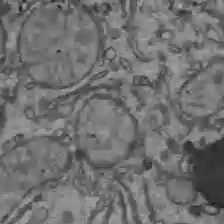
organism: C57BL Mouse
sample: Liver